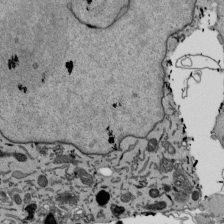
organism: Mouse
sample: ED-1 cell nuclei; centrioles